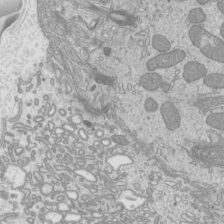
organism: Mouse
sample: Cilia; mouse epididymis